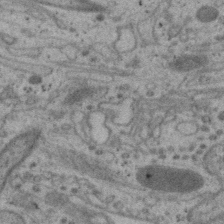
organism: Human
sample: HeLa cells